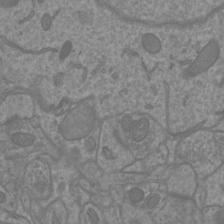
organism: Mouse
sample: Cortical neurons